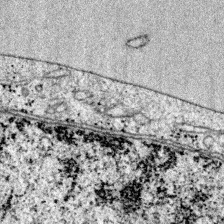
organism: Human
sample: HeLa cells